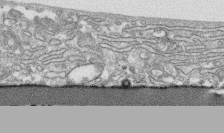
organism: Human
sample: CRL-1474